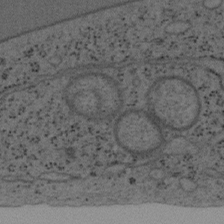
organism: Human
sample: HeLa cells